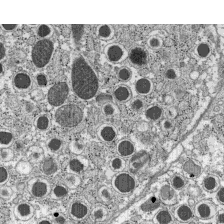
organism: C57BL Mouse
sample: Pancreatic islet